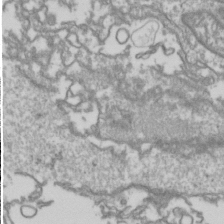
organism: Drosophila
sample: Cell division; meiosis; drosophila spermatocytes